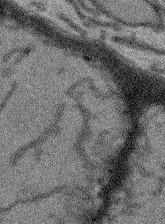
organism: Arabidopsis thaliana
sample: Root tip